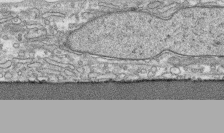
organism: Human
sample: CRL-1474